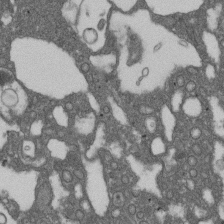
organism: Drosophila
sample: Nephrocyte